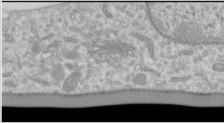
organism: Human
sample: Cilia; basal body in RPE cells